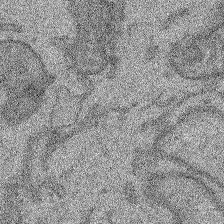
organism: Human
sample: HeLa cells